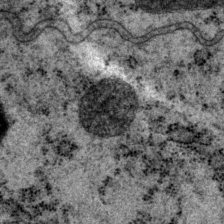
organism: P. pacificus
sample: Pharynx